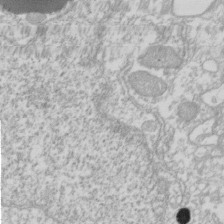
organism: Xenopus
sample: Cilia; centrioles in frog embryo cells